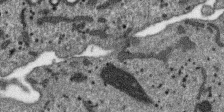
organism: Human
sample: Lung epithelial cells infected with SARS-CoV-2